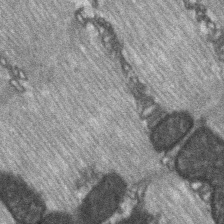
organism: C57BL Mouse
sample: Soleus